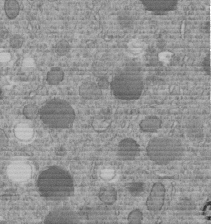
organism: C. elegans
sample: C. elegans embryo early stage